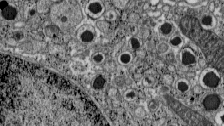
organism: C57BL Mouse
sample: Pancreatic islet